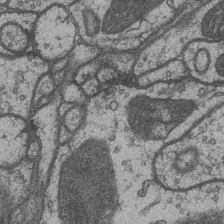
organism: Drosophila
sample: Optic medulla